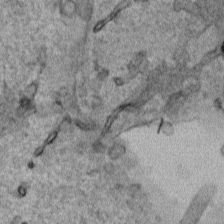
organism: Human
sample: Mitochondria in HCT116 cells